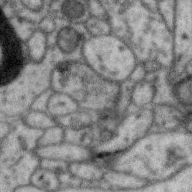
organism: Zebra finch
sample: Brain